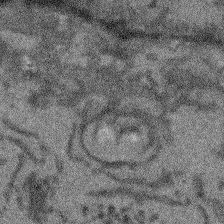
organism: Arabidopsis thaliana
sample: Root tip